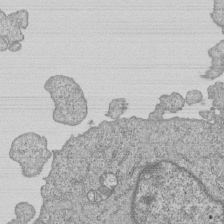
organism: Human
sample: MDA-MB-231 cells